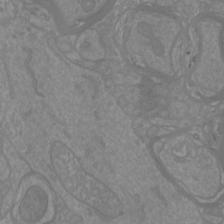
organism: Mouse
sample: Cortical neurons